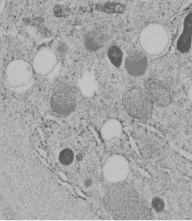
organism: C. elegans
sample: C. elegans embryo early stage